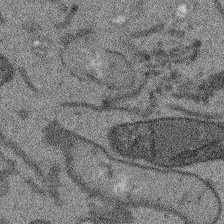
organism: Arabidopsis thaliana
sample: Root tip